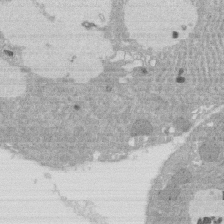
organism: Rat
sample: Salivary granule